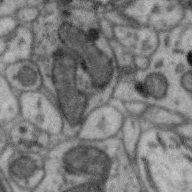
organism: Zebra finch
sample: Brain